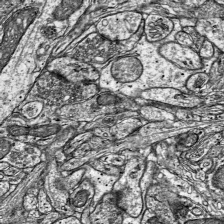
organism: Mouse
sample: Visual Cortex